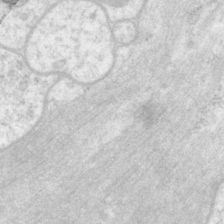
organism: P. pacificus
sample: Pharynx